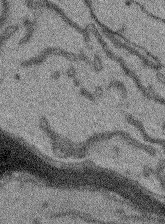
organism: Arabidopsis thaliana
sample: Root tip